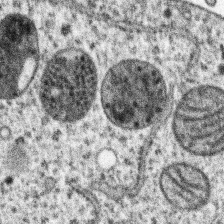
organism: Human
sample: HeLa cells